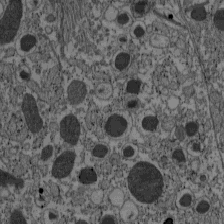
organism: C57BL Mouse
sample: Pancreatic islet